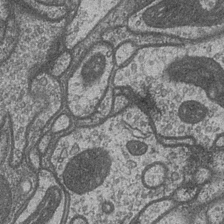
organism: Drosophila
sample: Optic medulla